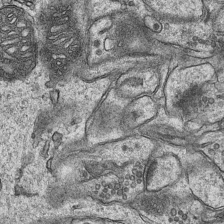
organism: Mouse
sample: CA1 Hippocampus